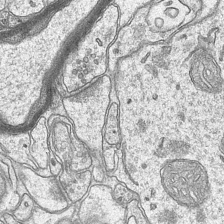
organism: Mouse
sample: CA1 Hippocampus